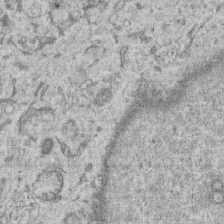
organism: Human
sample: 1205lu cells